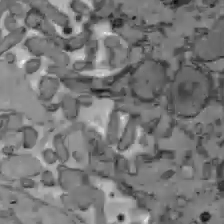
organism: C57BL Mouse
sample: Liver